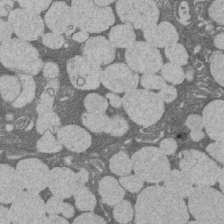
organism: Rat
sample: Salivary granule